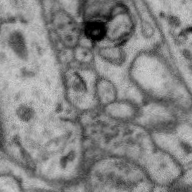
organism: Zebra finch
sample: Brain